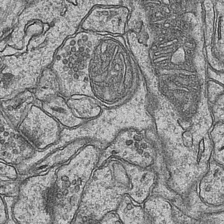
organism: Mouse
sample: CA1 Hippocampus